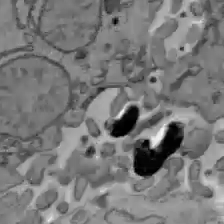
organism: C57BL Mouse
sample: Liver